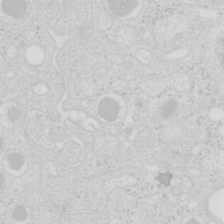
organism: Mouse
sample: Pancreas